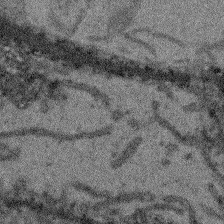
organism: Arabidopsis thaliana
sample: Root tip